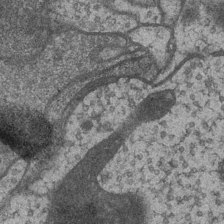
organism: Drosophila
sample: Optic medulla